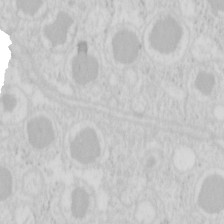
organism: Mouse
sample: Pancreas